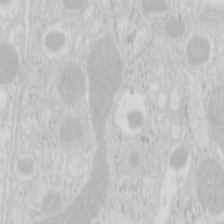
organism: Mouse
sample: Pancreas